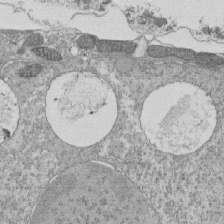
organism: Tetrahymena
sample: Cilia in tetrahymena